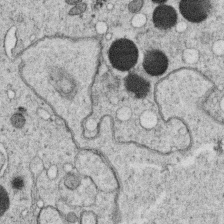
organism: C. elegans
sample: C. elegans oocyte; sperm cells